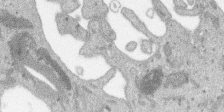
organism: Human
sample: Lung epithelial cells infected with SARS-CoV-2